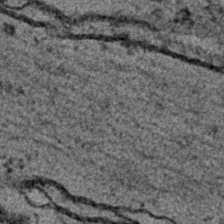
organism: C. elegans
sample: C. elegans embryo